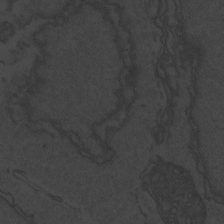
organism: Zebrafish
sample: Macrophage infected with Toxoplasma gondii